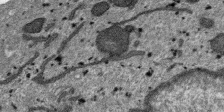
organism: Human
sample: Lung epithelial cells, uninfected (mock) control